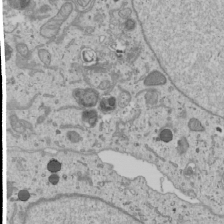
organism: Human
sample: Mitochondria in U2OS cells